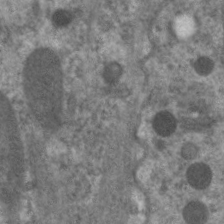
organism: C. elegans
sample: Pharynx